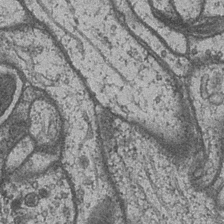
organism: Drosophila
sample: Optic medulla